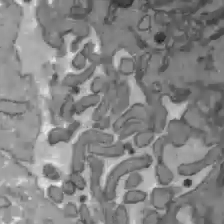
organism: C57BL Mouse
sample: Liver